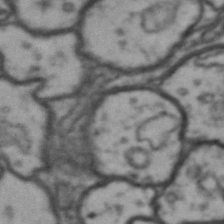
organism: Drosophila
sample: Brain